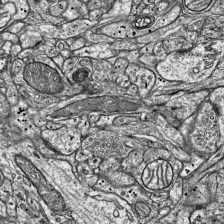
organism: Mouse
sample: Visual Cortex